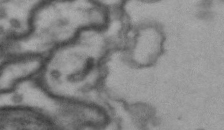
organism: Drosophila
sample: Brain